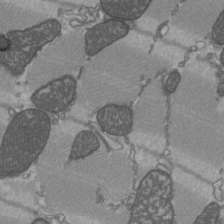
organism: C57BL Mouse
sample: Heart